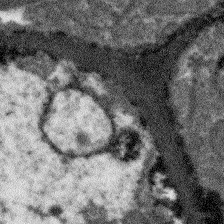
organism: Arabidopsis thaliana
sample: Root tip